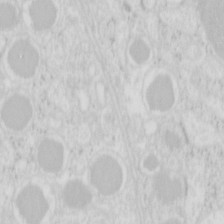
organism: Mouse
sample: Pancreas